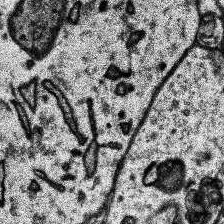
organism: Human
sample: Temporal Lobe